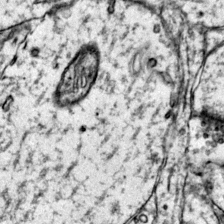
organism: Mouse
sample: Primary visual cortex